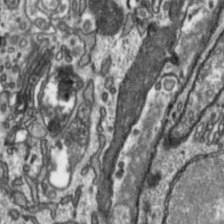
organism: Toxoplasma gondii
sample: Parasites in a vacuole inside a host cell